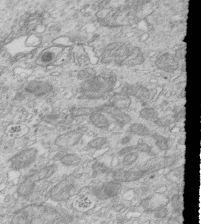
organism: Mouse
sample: Multiciliated cells